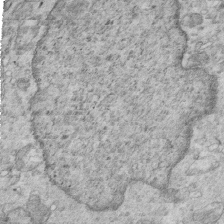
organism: Mouse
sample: Multiciliated cells